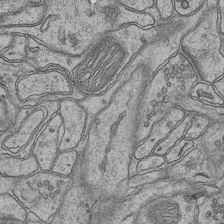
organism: Mouse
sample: CA1 Hippocampus